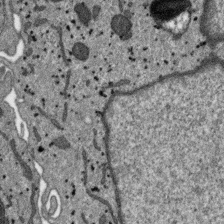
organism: Human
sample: Lung epithelial cells, uninfected (mock) control